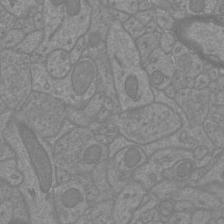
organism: Mouse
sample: Cortical neurons